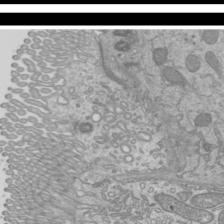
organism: Mouse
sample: Cilia; mouse epididymis